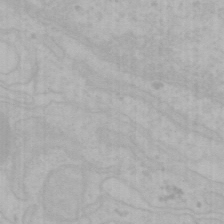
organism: Mouse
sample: Choroid plexus